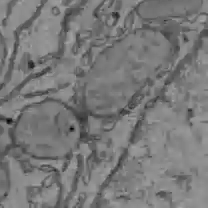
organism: C57BL Mouse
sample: Liver